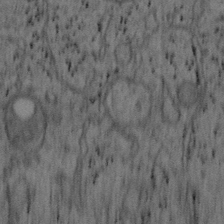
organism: Human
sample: HeLa cells